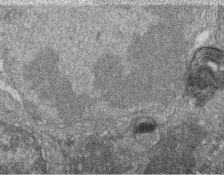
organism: Zebrafish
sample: Cilia; retinal pigment epithelium